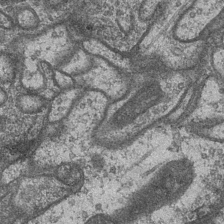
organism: Drosophila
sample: Optic medulla